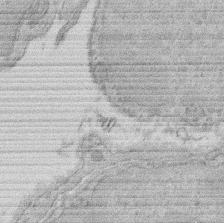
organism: Rat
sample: Salivary granule